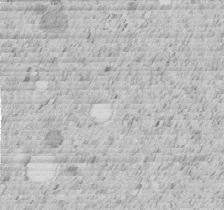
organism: C. elegans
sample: C. elegans embryo early stage